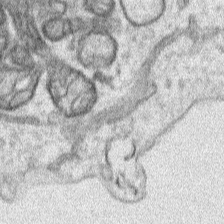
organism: Human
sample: Mitochondria in HCT116 cells